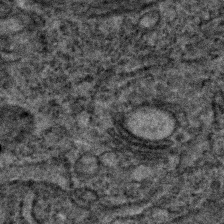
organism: C. elegans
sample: C. elegans embryo